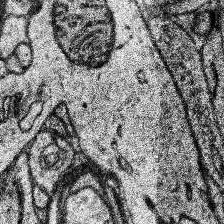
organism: Human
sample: Temporal Lobe